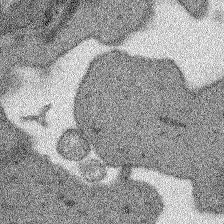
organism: Human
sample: HeLa cells